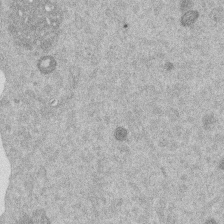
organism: Mouse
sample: Dividing mouse embryo 1 cell stage